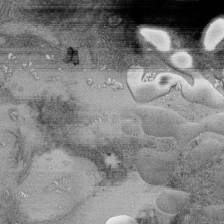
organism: Human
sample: Retinal organoid Rod and Cone cells